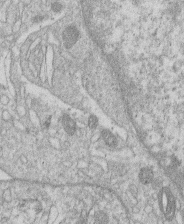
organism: Human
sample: Macrophage cells